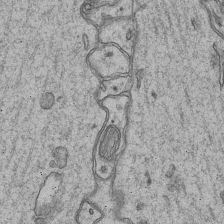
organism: Mouse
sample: CA1 Hippocampus